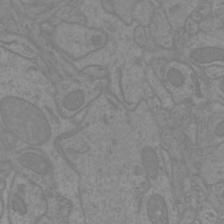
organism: Mouse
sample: Cortical neurons